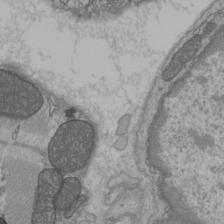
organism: C57BL Mouse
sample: Heart